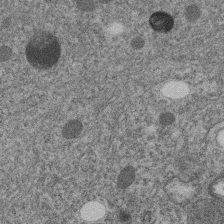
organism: C. elegans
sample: C. elegans embryo early stage